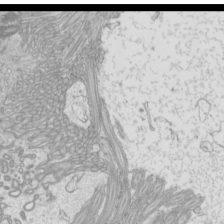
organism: Mouse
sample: Cilia; mouse epididymis